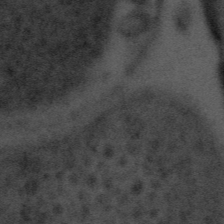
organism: Tuwongella immobilis